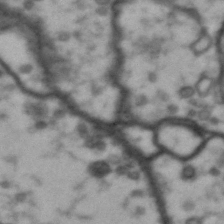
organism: Drosophila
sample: Brain